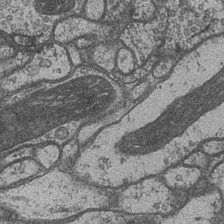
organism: Drosophila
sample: Optic medulla